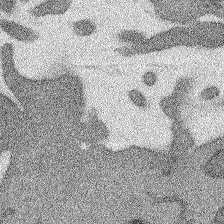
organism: Human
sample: HeLa cells